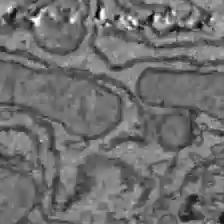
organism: C57BL Mouse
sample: Liver